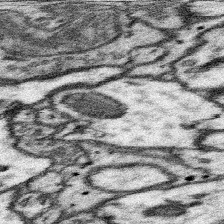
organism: Mouse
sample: Somatosensory cortex neuropil